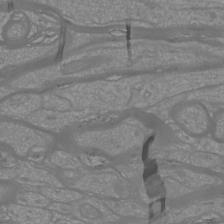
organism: Mouse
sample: Cortical neurons